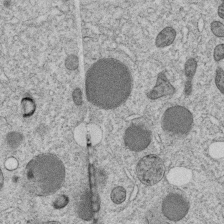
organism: C. elegans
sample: C. elegans embryo early stage